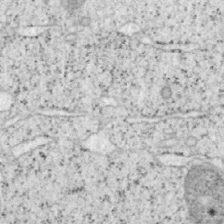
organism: Mouse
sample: OT-I killer T cells with ID8 ovarian cancer cells